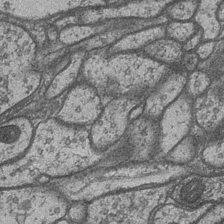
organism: Drosophila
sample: Optic medulla